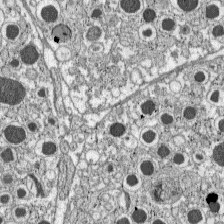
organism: C57BL Mouse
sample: Pancreatic islet